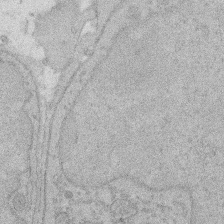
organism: Rat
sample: Salivary granule